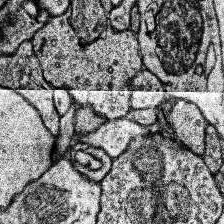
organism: Human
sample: Temporal Lobe